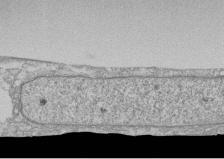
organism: Human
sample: CRL-1474